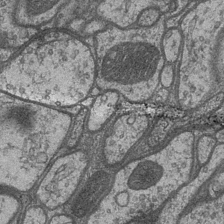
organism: Drosophila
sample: Optic medulla